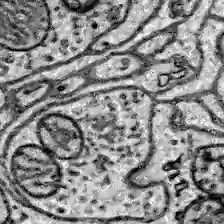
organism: Zebrafish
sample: Brain